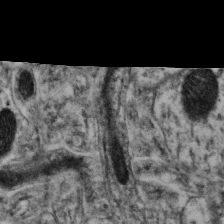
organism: Mouse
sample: Neocortex